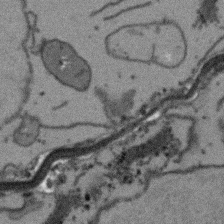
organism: Arabidopsis thaliana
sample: Root tip